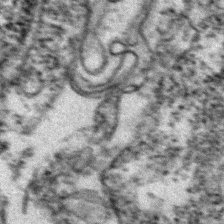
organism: Zebrafish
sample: Zebrafish embryo